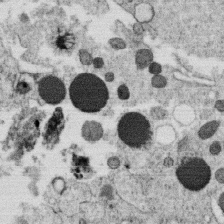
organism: C. elegans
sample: C. elegans oocyte; sperm cells